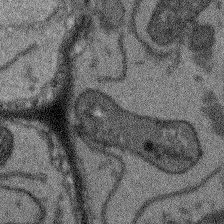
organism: Arabidopsis thaliana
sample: Root tip